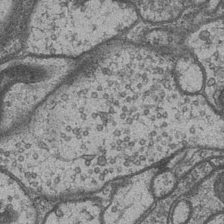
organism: Drosophila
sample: Optic medulla